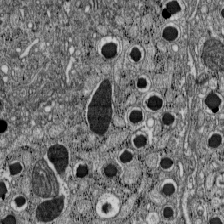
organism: C57BL Mouse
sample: Pancreatic islet